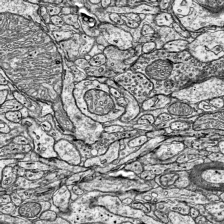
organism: Mouse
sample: Visual Cortex